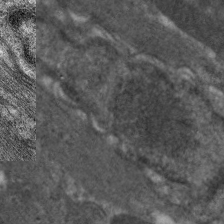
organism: C. elegans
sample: Pharynx